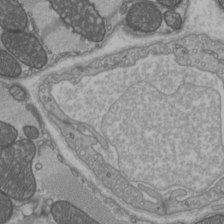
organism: C57BL Mouse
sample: Heart